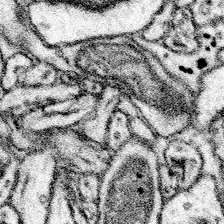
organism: Mouse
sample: Somatosensory cortex neuropil